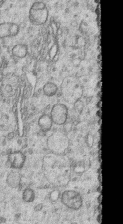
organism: Human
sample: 1205lu cells